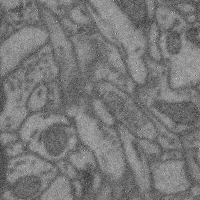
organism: Mouse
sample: Cerebral cortex